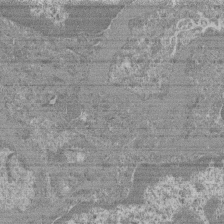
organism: Mouse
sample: Glomerulus